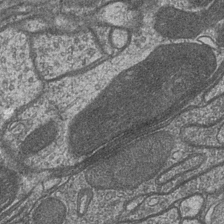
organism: Drosophila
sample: Optic medulla